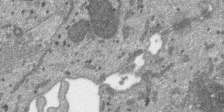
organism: Human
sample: Lung epithelial cells infected with SARS-CoV-2